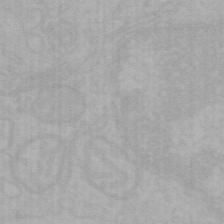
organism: Mouse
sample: Choroid plexus